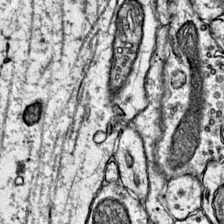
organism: Mouse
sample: Primary visual cortex